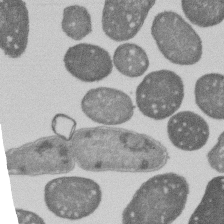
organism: E. coli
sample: Bacterial nucleoid